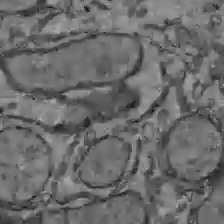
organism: C57BL Mouse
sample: Liver